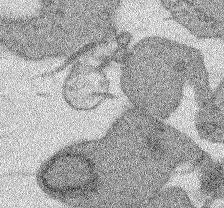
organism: Human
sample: HeLa cells